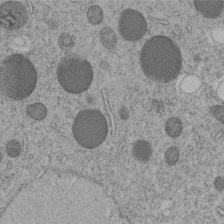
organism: C. elegans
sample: C. elegans embryo early stage